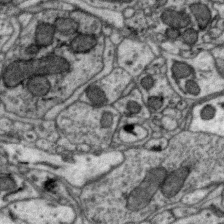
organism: Zebra finch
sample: Brain